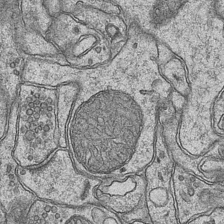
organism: Mouse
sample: CA1 Hippocampus